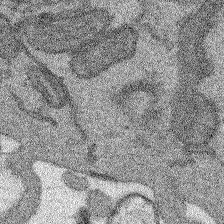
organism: Human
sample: HeLa cells